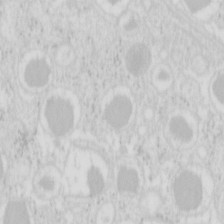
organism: Mouse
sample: Pancreas